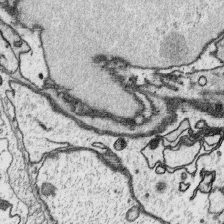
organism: Platynereis dumerilii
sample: Parapodia